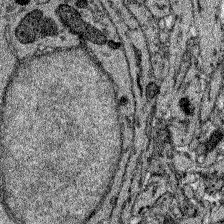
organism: Zebrafish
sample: Larval olfactory bulb